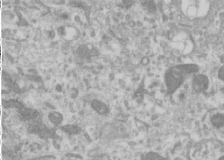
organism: Human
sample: Cilia; basal body in RPE cells